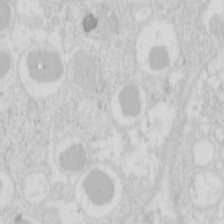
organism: Mouse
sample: Pancreas